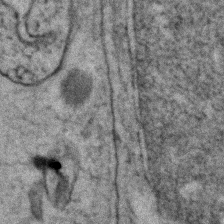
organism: Zebrafish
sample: Zebrafish embryo